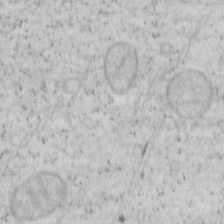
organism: Human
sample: HeLa cells